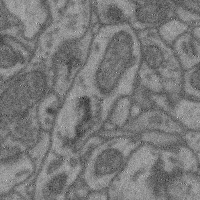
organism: Mouse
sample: Cerebral cortex